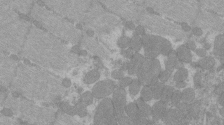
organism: C57BL Mouse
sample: Tibialis anterior muscle cell